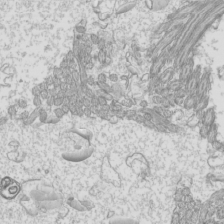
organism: Mouse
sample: Cilia; mouse epididymis